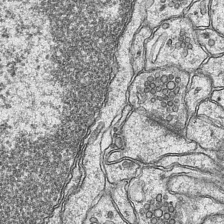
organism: Mouse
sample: CA1 Hippocampus